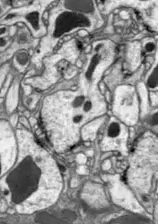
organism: Drosophila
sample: Optic lobe